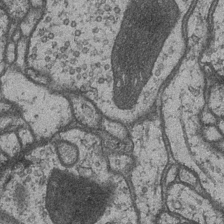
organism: Drosophila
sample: Optic medulla